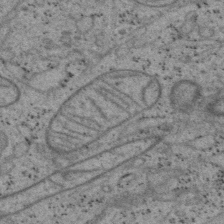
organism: Human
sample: HeLa cells